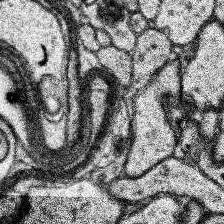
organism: Human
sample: Temporal Lobe